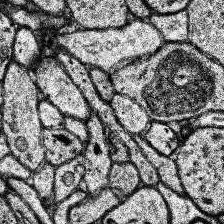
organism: Human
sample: Temporal Lobe